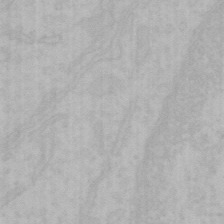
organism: Mouse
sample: Choroid plexus